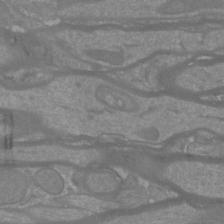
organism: Mouse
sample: Cortical neurons